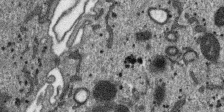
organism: Human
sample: Lung epithelial cells infected with SARS-CoV-2